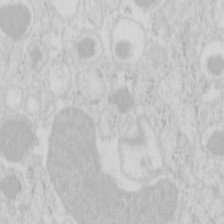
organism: Mouse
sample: Pancreas